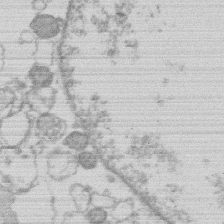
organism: Human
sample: Macrophage cells